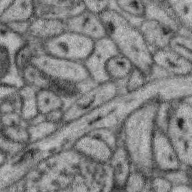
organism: Zebra finch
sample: Brain